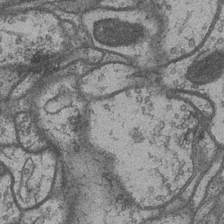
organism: Drosophila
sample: Optic medulla